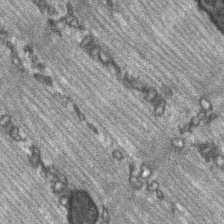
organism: C57BL Mouse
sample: Soleus